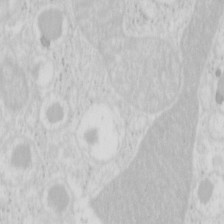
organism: Mouse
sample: Pancreas